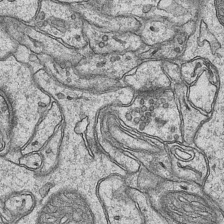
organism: Mouse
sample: CA1 Hippocampus